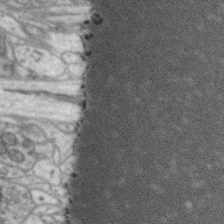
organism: Zebra finch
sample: Brain